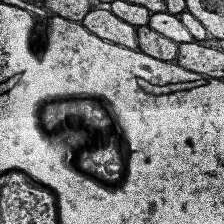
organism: Human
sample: Temporal Lobe